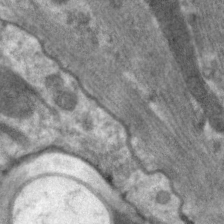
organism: C. elegans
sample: Pharynx